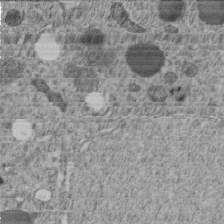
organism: C. elegans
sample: C. elegans embryo early stage